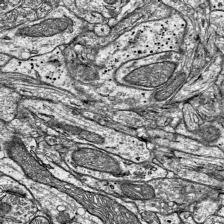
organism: Mouse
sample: Visual Cortex